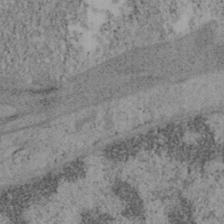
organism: Mouse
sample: OT-I killer T cells with ID8 ovarian cancer cells